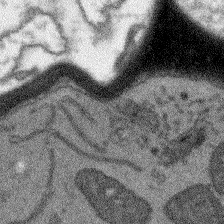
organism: Arabidopsis thaliana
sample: Root tip